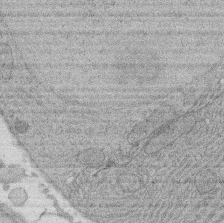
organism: Rat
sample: Salivary granule